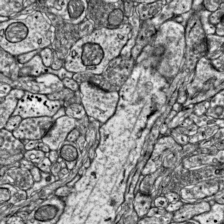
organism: Mouse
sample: Visual Cortex